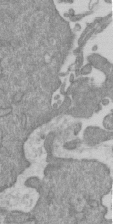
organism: Mouse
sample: ED-1 cell nuclei; centrioles